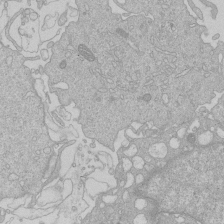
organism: Human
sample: Macrophage cells